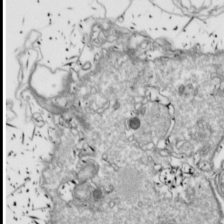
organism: Drosophila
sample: Cell division; meiosis; drosophila spermatocytes